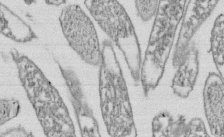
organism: E. coli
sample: Bacterial nucleoid